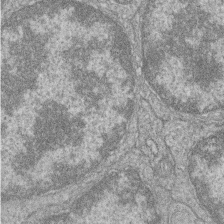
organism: Zebrafish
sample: Cilia; retinal pigment epithelium